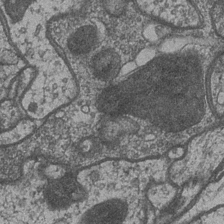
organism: Drosophila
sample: Optic medulla